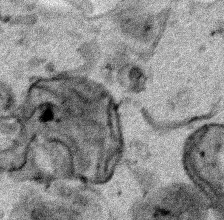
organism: Human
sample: Mitochondria in HCT116 cells